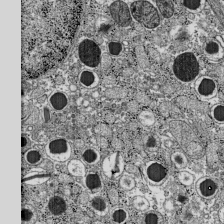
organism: C57BL Mouse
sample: Pancreatic islet